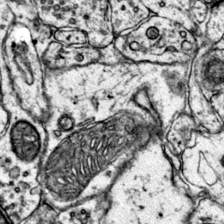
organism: Mouse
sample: Primary visual cortex